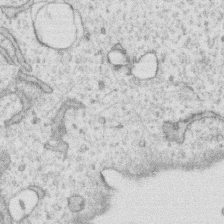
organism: Human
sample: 1205lu cells